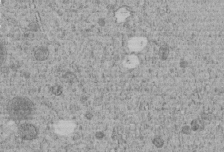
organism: C. elegans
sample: C. elegans embryo early stage